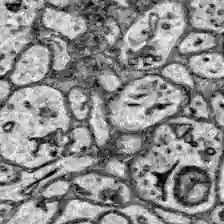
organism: Zebrafish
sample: Brain